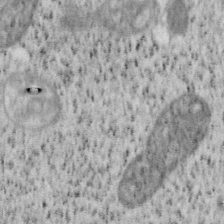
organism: Mouse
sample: OT-I killer T cells with ID8 ovarian cancer cells